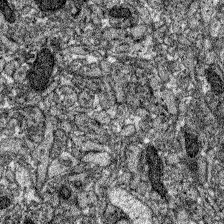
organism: Zebrafish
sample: Larval olfactory bulb